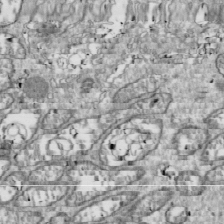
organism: Drosophila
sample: Cell division; meiosis; drosophila spermatocytes